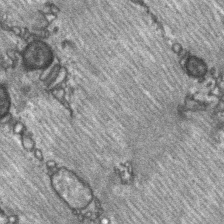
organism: C57BL Mouse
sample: Soleus